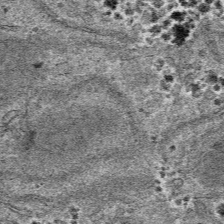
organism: Mouse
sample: Mouse hepatocytes